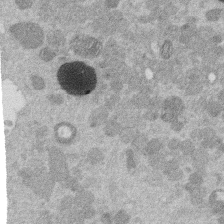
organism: Mouse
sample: Dividing mouse embryo 1 cell stage